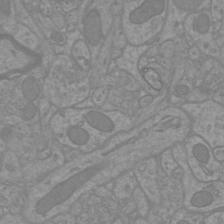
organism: Mouse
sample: Cortical neurons